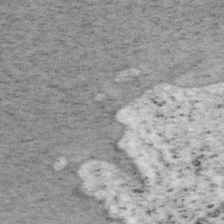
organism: Mouse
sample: OT-I killer T cells with ID8 ovarian cancer cells